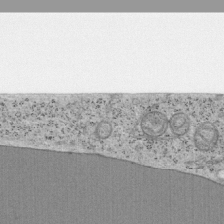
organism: Human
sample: HeLa cells